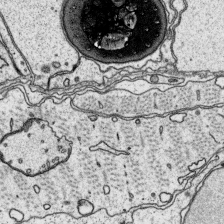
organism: Platynereis dumerilii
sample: Parapodia